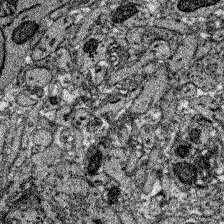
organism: Zebrafish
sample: Larval olfactory bulb